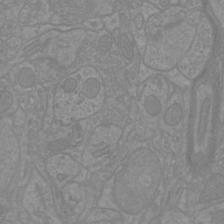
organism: Mouse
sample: Cortical neurons